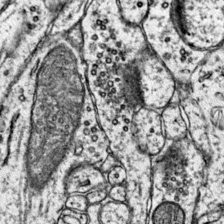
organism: Mouse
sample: Primary visual cortex